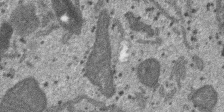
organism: Human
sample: Lung epithelial cells infected with SARS-CoV-2